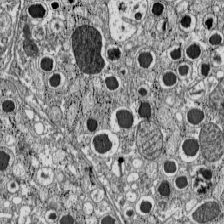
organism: C57BL Mouse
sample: Pancreatic islet